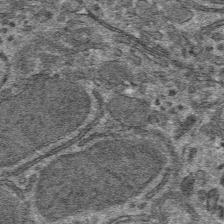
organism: Mouse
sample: Mouse hepatocytes